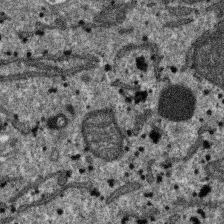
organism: Human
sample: Lung epithelial cells infected with SARS-CoV-2